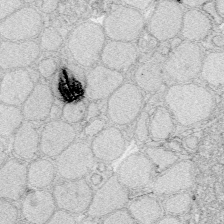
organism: Zebrafish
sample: Whole-Brain